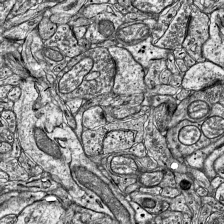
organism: Mouse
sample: Visual Cortex